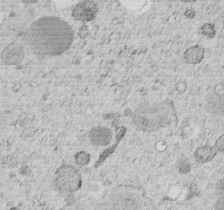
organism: C. elegans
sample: C. elegans embryo early stage